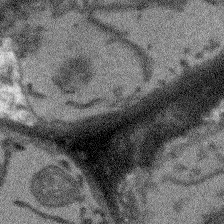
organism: Arabidopsis thaliana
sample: Root tip